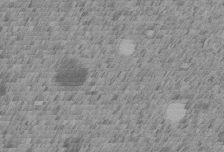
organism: C. elegans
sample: C. elegans embryo early stage